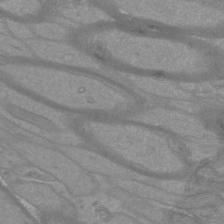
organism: Mouse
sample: Cortical neurons